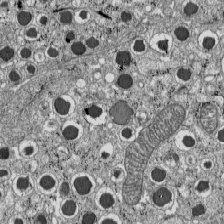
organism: C57BL Mouse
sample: Pancreatic islet